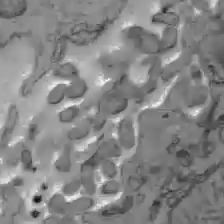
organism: C57BL Mouse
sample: Liver